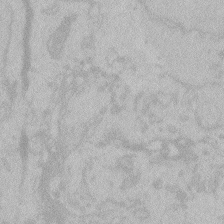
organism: Zebrafish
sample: Macrophage infected with Toxoplasma gondii